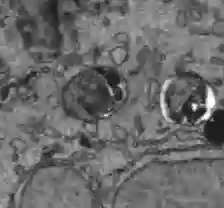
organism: C57BL Mouse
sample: Liver